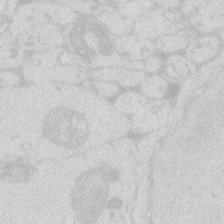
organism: Zebrafish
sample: Macrophage